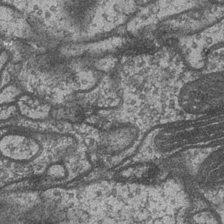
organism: Drosophila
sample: Optic medulla